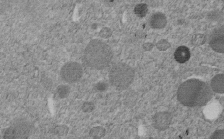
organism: C. elegans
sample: C. elegans embryo early stage